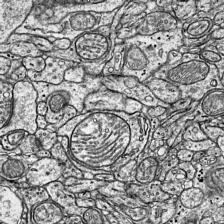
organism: Mouse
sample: Visual Cortex